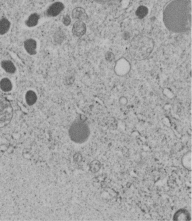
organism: C. elegans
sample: C. elegans embryo early stage